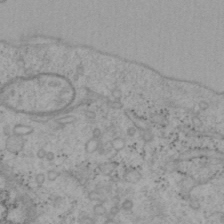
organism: Human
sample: HeLa cells